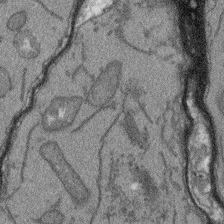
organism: Arabidopsis thaliana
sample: Root tip